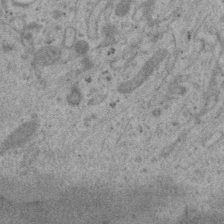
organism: Human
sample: HeLa cells